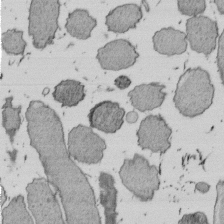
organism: E. coli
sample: Bacterial nucleoid